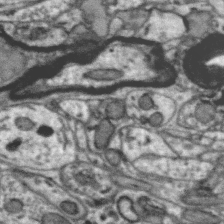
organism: Zebra finch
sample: Brain